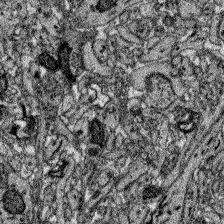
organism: Zebrafish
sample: Larval olfactory bulb